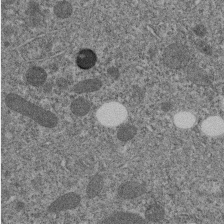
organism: C. elegans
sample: C. elegans embryo early stage